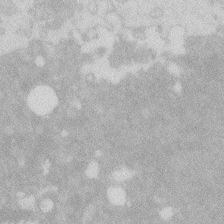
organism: Zebrafish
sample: Macrophage